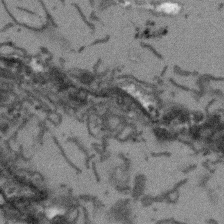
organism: Arabidopsis thaliana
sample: Root tip